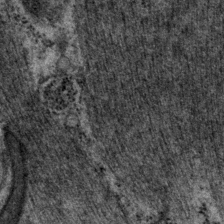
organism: P. pacificus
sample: Pharynx